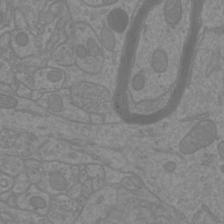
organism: Mouse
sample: Cortical neurons